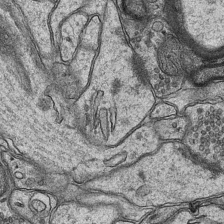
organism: Mouse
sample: CA1 Hippocampus